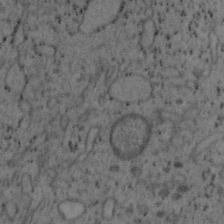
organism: Human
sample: HeLa cells